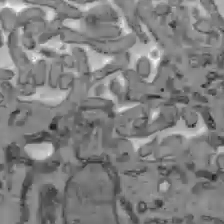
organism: C57BL Mouse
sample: Liver